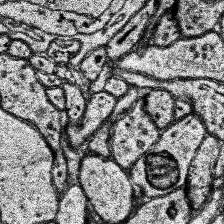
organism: Human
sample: Temporal Lobe